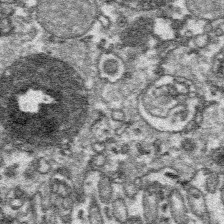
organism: Platynereis dumerilii